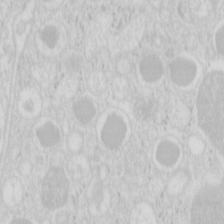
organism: Mouse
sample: Pancreas